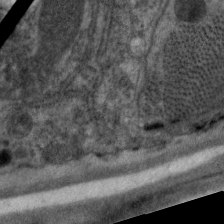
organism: C. elegans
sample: Pharynx